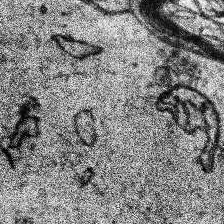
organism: Human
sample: Temporal Lobe